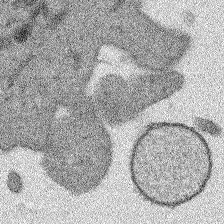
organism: Human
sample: HeLa cells